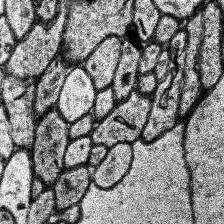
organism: Human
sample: Temporal Lobe